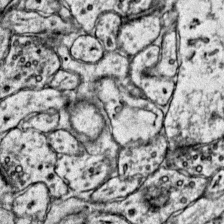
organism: Mouse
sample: Primary visual cortex